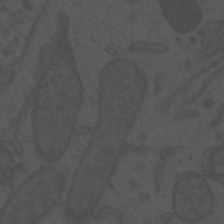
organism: Mouse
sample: Suprachiasmatic nucleus